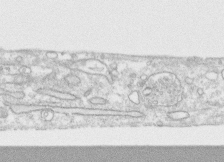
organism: Human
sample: CRL-1474